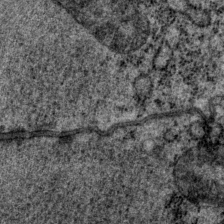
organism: P. pacificus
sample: Pharynx